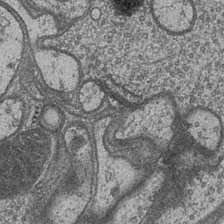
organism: Drosophila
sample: Optic medulla